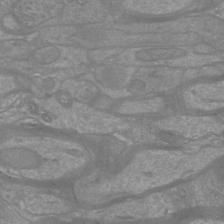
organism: Mouse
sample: Cortical neurons